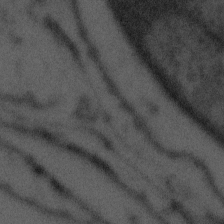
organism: Tuwongella immobilis